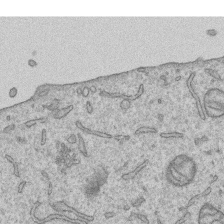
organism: Human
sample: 1205lu cells